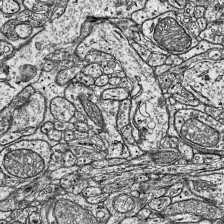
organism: Mouse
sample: Visual Cortex